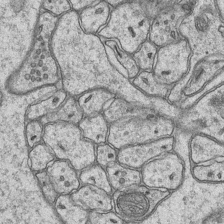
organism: Mouse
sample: CA1 Hippocampus